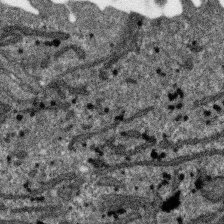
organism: Human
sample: Lung epithelial cells infected with SARS-CoV-2